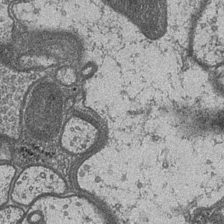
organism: Drosophila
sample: Optic medulla